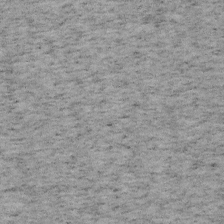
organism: Mouse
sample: OT-I killer T cells with ID8 ovarian cancer cells